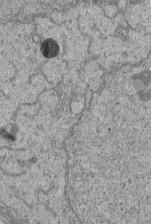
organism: Human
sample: Retinal organoid Rod and Cone cells